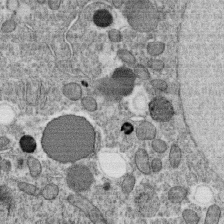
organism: C. elegans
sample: C. elegans oocyte; sperm cells